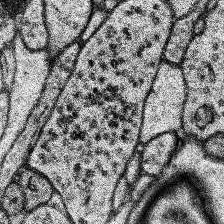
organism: Human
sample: Temporal Lobe